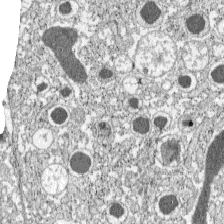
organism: C57BL Mouse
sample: Pancreatic islet